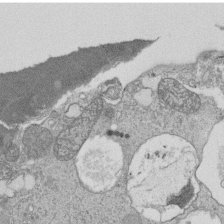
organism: Tetrahymena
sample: Cilia in tetrahymena